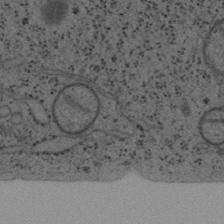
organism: Human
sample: HeLa cells